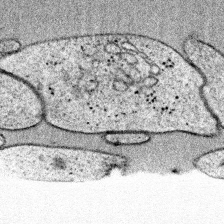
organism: Human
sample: HeLa cells